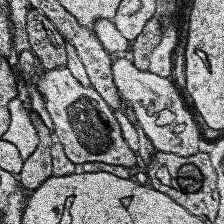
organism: Human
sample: Temporal Lobe